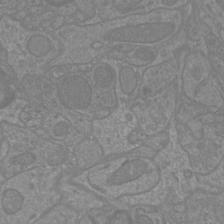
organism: Mouse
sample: Cortical neurons